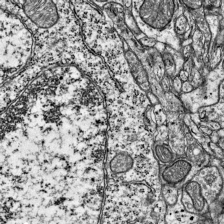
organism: Mouse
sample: Visual Cortex